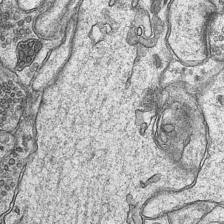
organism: Mouse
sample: CA1 Hippocampus